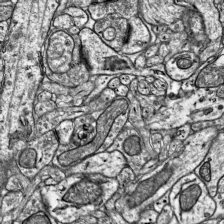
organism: Mouse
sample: Visual Cortex